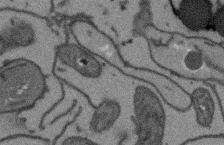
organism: Arabidopsis thaliana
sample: Root tip